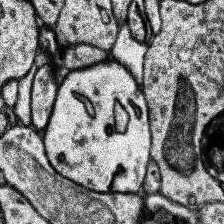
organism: Human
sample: Temporal Lobe